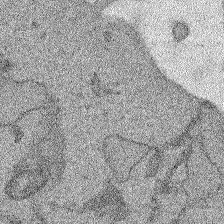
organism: Human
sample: HeLa cells